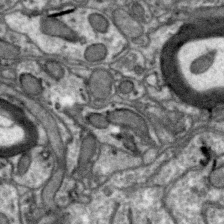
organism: Zebra finch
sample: Brain